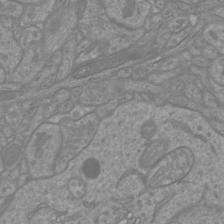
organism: Mouse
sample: Cortical neurons